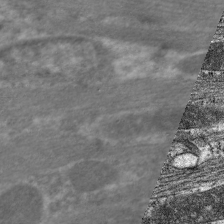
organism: C. elegans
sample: Pharynx